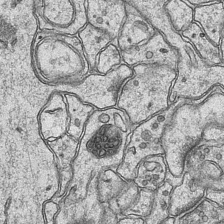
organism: Mouse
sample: CA1 Hippocampus